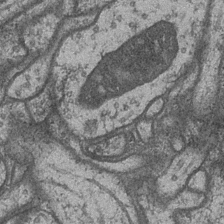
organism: Drosophila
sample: Optic medulla